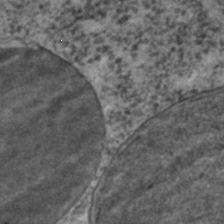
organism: C. elegans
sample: C. elegans embryo